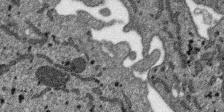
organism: Human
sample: Lung epithelial cells infected with SARS-CoV-2